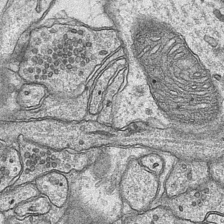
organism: Mouse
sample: CA1 Hippocampus